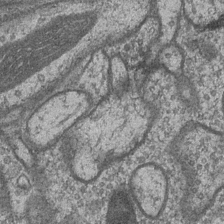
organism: Drosophila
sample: Optic medulla